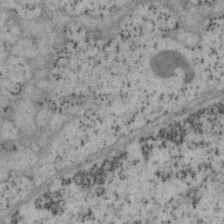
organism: Human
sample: HeLa cells